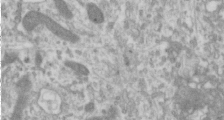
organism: Human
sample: Cilia; basal body in RPE cells